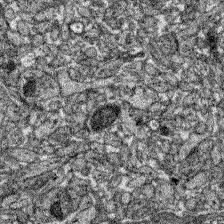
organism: Zebrafish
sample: Larval olfactory bulb